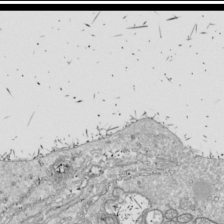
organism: Drosophila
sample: Cell division; meiosis; drosophila spermatocytes